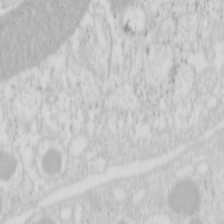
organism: Mouse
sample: Pancreas